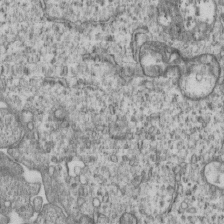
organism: Human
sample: MDA-MB-231 cells